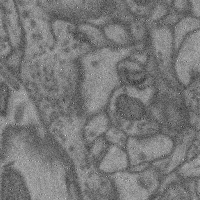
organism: Mouse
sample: Cerebral cortex